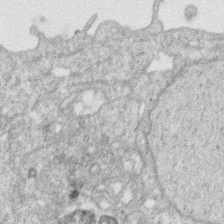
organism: Human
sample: HeLa cell HIV synapse